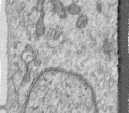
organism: Human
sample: Centriole in RPE cells